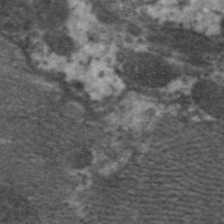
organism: C. elegans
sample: Pharynx